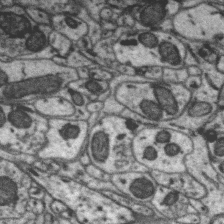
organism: Zebra finch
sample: Brain